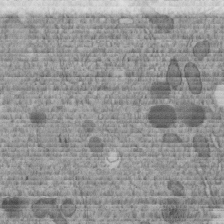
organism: C. elegans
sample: C. elegans embryo early stage